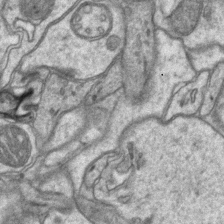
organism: Mouse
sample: CA1 Hippocampus